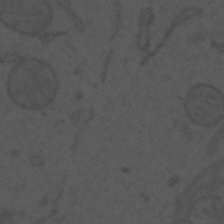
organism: Mouse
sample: Suprachiasmatic nucleus